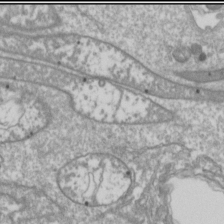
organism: Drosophila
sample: Cell division; meiosis; drosophila spermatocytes